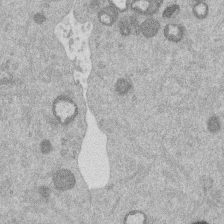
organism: Mouse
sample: Dividing mouse embryo 1 cell stage